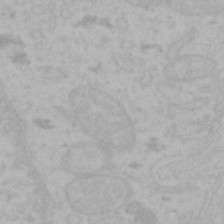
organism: Mouse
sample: Choroid plexus